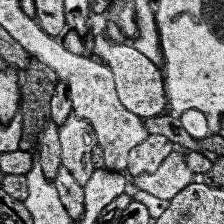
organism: Human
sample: Temporal Lobe